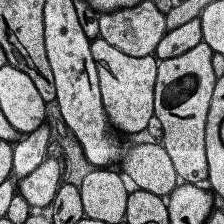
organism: Human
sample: Temporal Lobe